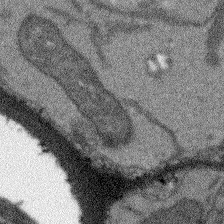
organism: Arabidopsis thaliana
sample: Root tip